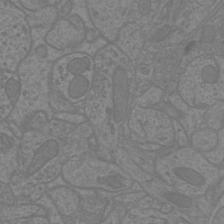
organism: Mouse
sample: Cortical neurons